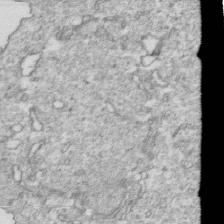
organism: Mouse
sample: Activated OT-1 CD8+ T cells